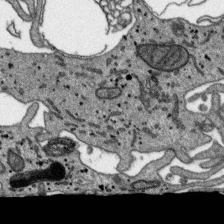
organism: Human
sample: Lung epithelial cells, uninfected (mock) control